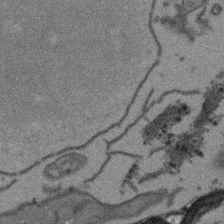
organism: Arabidopsis thaliana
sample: Root tip